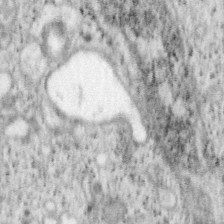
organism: Mouse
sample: OT-I killer T cells with ID8 ovarian cancer cells